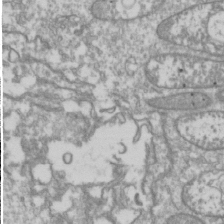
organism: Drosophila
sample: Cell division; meiosis; drosophila spermatocytes